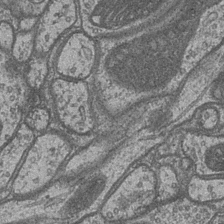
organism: Drosophila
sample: Optic medulla